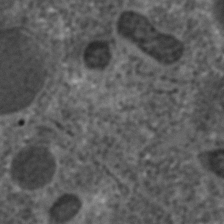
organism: C. elegans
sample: C. elegans embryo